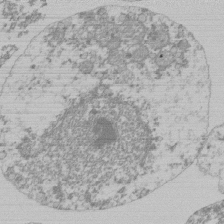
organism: Mouse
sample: Activated Pmel transgenic CD8+ T Cells